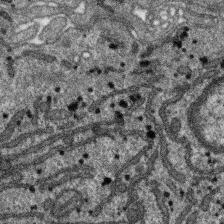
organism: Human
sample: Lung epithelial cells infected with SARS-CoV-2